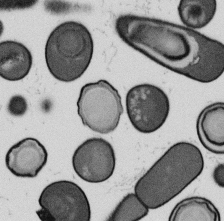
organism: B. subtilis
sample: Bacterial spore